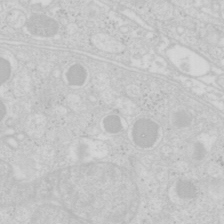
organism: Mouse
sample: Pancreas